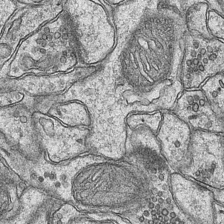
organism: Mouse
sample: CA1 Hippocampus